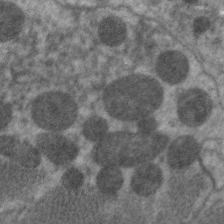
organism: C. elegans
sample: Pharynx